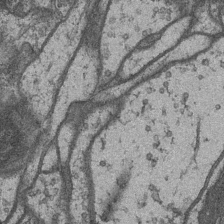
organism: Drosophila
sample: Optic medulla